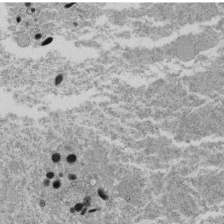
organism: Tetrahymena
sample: Cilia in tetrahymena